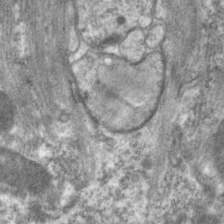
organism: C. elegans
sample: Pharynx